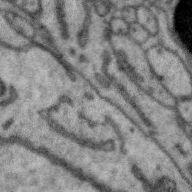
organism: Zebra finch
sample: Brain